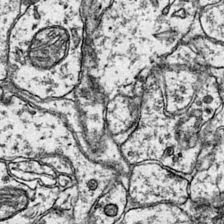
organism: Mouse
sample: Primary visual cortex